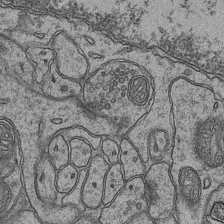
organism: Mouse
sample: CA1 Hippocampus